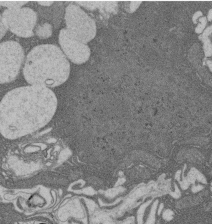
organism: Rat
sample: Salivary granule